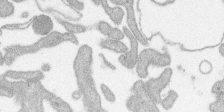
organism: Human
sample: Lung epithelial cells infected with SARS-CoV-2